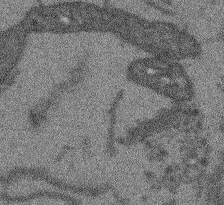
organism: Arabidopsis thaliana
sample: Root tip